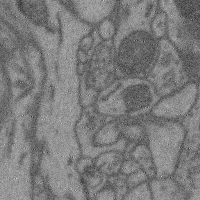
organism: Mouse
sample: Cerebral cortex